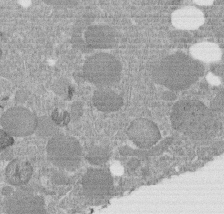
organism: C. elegans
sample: C. elegans embryo early stage